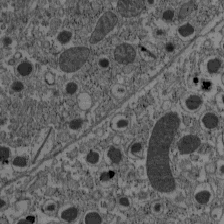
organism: C57BL Mouse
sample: Pancreatic islet